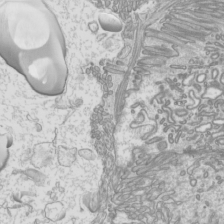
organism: Mouse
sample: Cilia; mouse epididymis